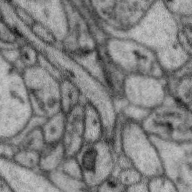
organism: Zebra finch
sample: Brain